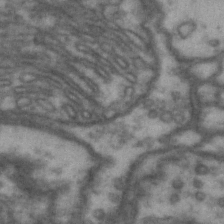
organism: Drosophila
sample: Brain